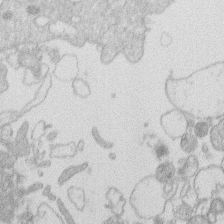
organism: Human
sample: Macrophage cells